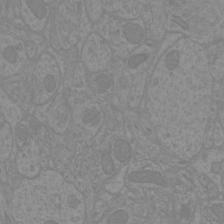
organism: Mouse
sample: Cortical neurons